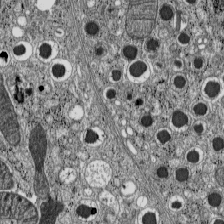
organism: C57BL Mouse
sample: Pancreatic islet